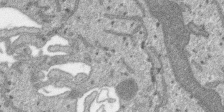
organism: Human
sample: Lung epithelial cells infected with SARS-CoV-2